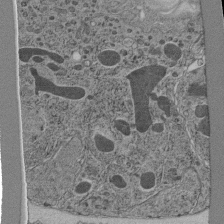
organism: C. elegans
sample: C. elegans pharynx